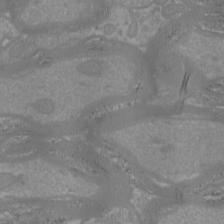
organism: Mouse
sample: Cortical neurons